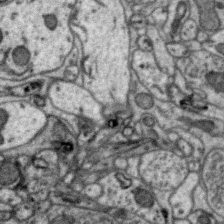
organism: Zebra finch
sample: Brain